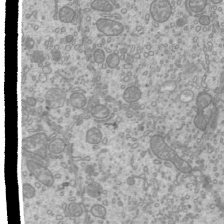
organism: Mouse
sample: Cilia; mouse epididymis